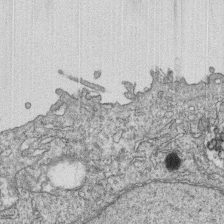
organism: Human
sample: HeLa cell HIV synapse